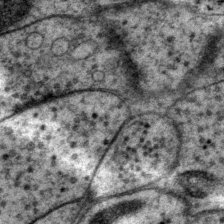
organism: P. pacificus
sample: Pharynx